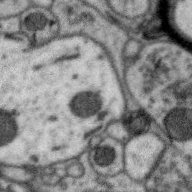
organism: Zebra finch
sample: Brain